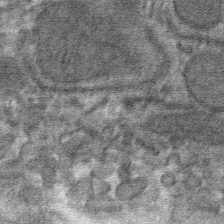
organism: Mouse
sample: Mouse hepatocytes